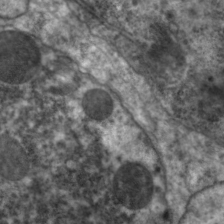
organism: C. elegans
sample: Pharynx